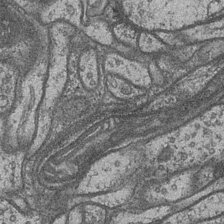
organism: Drosophila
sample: Optic medulla